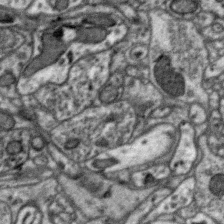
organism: Zebra finch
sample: Brain